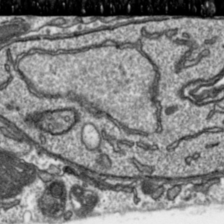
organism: Toxoplasma gondii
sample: Parasites in a vacuole inside a host cell